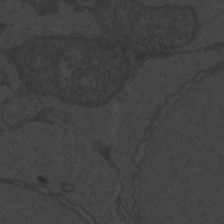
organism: Zebrafish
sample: Macrophage infected with Toxoplasma gondii